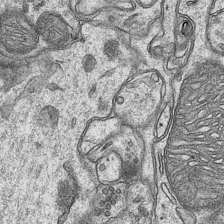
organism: Mouse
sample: CA1 Hippocampus